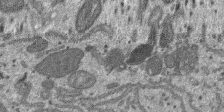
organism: Human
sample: Lung epithelial cells infected with SARS-CoV-2